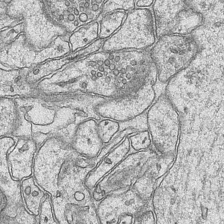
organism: Mouse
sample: CA1 Hippocampus